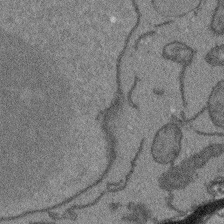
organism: Arabidopsis thaliana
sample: Root tip